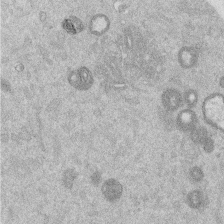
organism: Mouse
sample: Dividing mouse embryo 1 cell stage